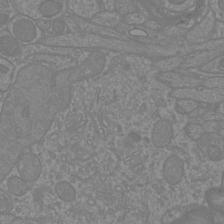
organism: Mouse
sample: Cortical neurons